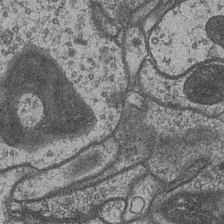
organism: Drosophila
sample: Optic medulla